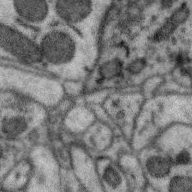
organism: Zebra finch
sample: Brain